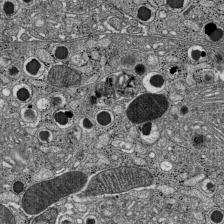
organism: C57BL Mouse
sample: Pancreatic islet